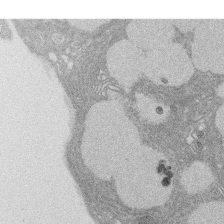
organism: Rat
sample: Salivary granule